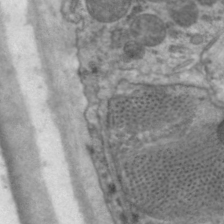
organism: C. elegans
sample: Pharynx